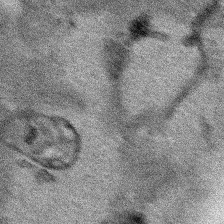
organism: Human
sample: Mitochondria in HCT116 cells